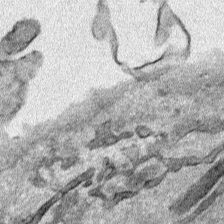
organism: Human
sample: Mitochondria in HCT116 cells